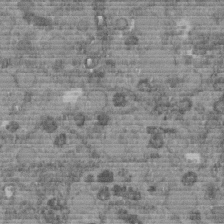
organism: C. elegans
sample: C. elegans embryo early stage